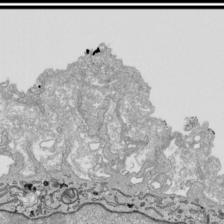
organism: Human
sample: Mitochondria in HCT116 cells